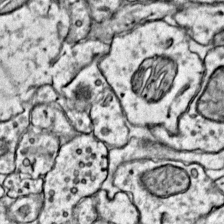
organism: Mouse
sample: Primary visual cortex